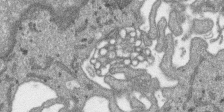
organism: Human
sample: Lung epithelial cells infected with SARS-CoV-2